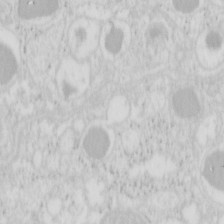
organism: Mouse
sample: Pancreas